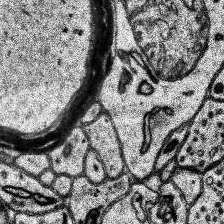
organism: Human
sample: Temporal Lobe